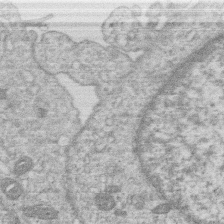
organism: Human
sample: Macrophage cells